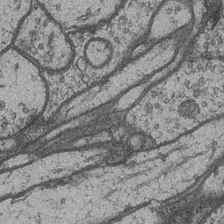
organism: Drosophila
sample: Optic medulla